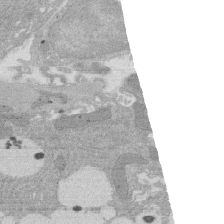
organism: Rat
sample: Salivary granule